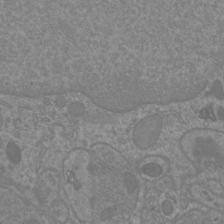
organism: Mouse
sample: Cortical neurons